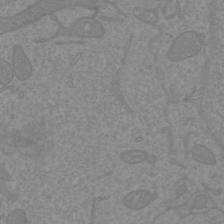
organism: Mouse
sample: Cortical neurons